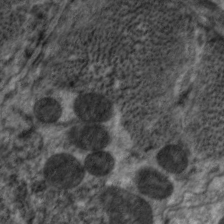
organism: C. elegans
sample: Pharynx